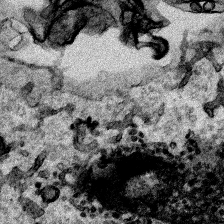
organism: Human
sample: Mitochondria in HCT116 cells